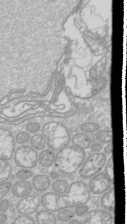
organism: Drosophila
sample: Cell division; meiosis; drosophila spermatocytes